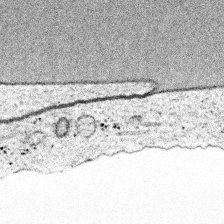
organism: Human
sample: HeLa cells